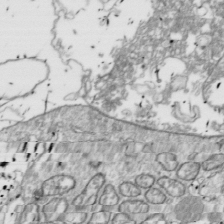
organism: Drosophila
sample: Cell division; meiosis; drosophila spermatocytes